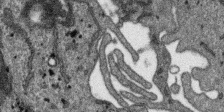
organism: Human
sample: Lung epithelial cells infected with SARS-CoV-2